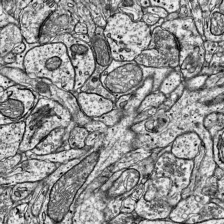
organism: Mouse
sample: Visual Cortex